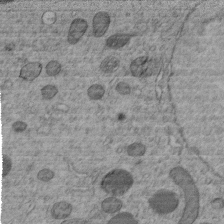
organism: C. elegans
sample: C. elegans embryo early stage